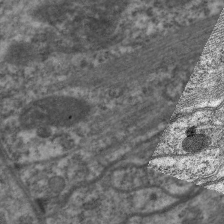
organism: C. elegans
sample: Pharynx